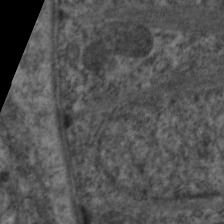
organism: C. elegans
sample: Pharynx